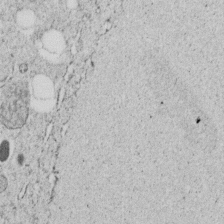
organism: C. elegans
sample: C. elegans embryo early stage